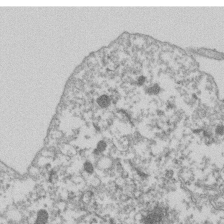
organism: Dictyostelium discoideum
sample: Dictyostelium multivesicular bodies